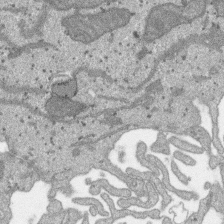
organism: Human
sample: Lung epithelial cells infected with SARS-CoV-2